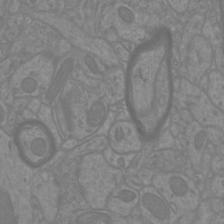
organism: Mouse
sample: Cortical neurons